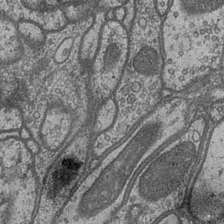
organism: Drosophila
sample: Optic medulla